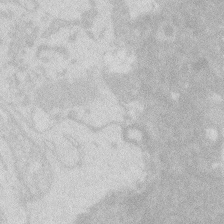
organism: Zebrafish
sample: Macrophage